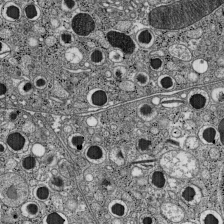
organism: C57BL Mouse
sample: Pancreatic islet